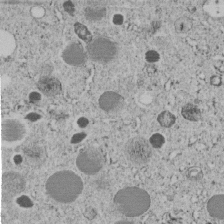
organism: C. elegans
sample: C. elegans embryo early stage